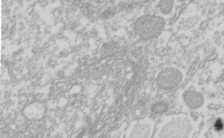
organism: Xenopus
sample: Cilia; centrioles in frog embryo cells